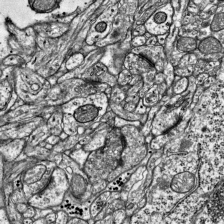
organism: Mouse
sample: Visual Cortex